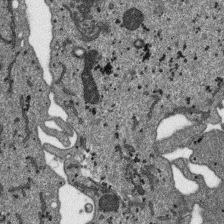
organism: Human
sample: Lung epithelial cells infected with SARS-CoV-2